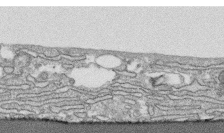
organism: Human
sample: CRL-1474